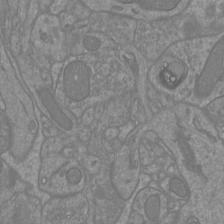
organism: Mouse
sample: Cortical neurons